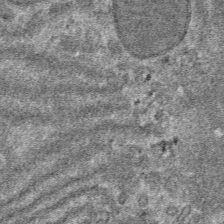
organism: Mouse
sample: Mouse hepatocytes